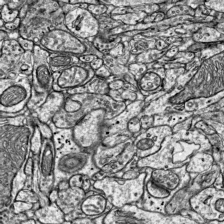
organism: Mouse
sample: Visual Cortex